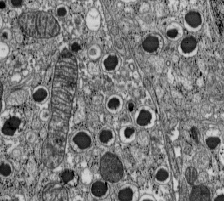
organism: C57BL Mouse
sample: Pancreatic islet